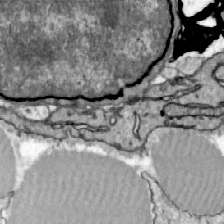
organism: Zebrafish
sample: Actinotrichia fibers